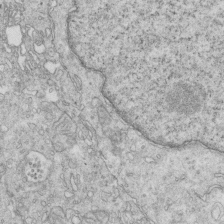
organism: Mouse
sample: Multiciliated cells